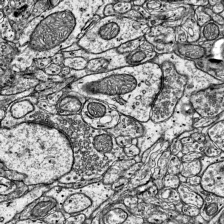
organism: Mouse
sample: Visual Cortex